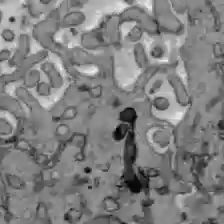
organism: C57BL Mouse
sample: Liver